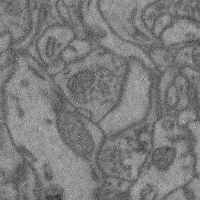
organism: Mouse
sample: Cerebral cortex